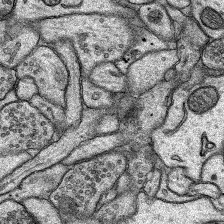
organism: Rat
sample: Hippocampus